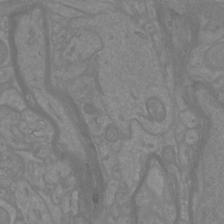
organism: Mouse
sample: Cortical neurons